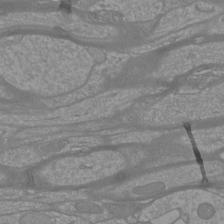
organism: Mouse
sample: Cortical neurons